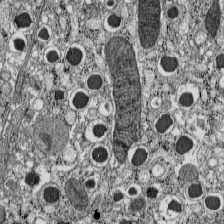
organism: C57BL Mouse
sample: Pancreatic islet